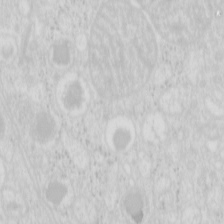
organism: Mouse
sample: Pancreas